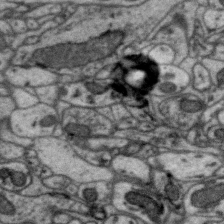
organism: Zebra finch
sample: Brain